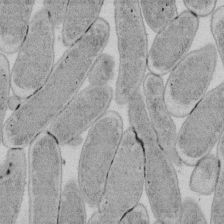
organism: E. coli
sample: Bacterial nucleoid